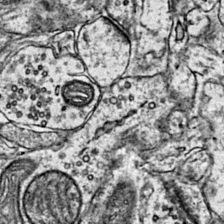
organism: Mouse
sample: Primary visual cortex